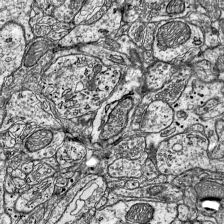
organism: Mouse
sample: Visual Cortex